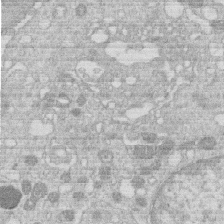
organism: Human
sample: Macrophage cells